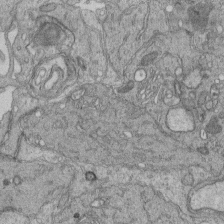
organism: Human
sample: Retinal organoid Rod and Cone cells